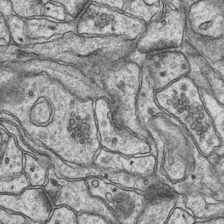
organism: Mouse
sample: CA1 Hippocampus